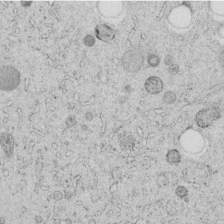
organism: C. elegans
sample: C. elegans embryo early stage